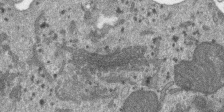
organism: Human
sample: Lung epithelial cells infected with SARS-CoV-2